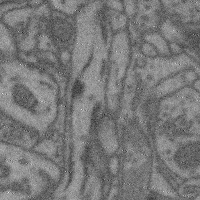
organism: Mouse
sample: Cerebral cortex